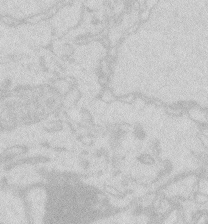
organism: Zebrafish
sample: Macrophage